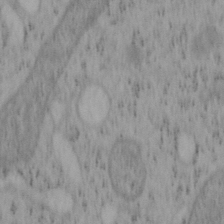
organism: Mouse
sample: OT-I killer T cells with ID8 ovarian cancer cells